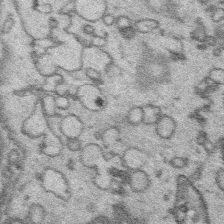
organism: Platynereis dumerilii